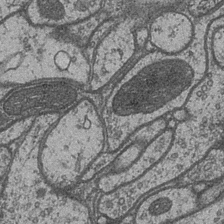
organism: Drosophila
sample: Optic medulla